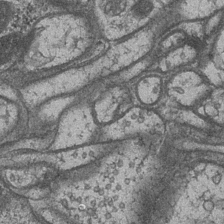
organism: Drosophila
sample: Optic medulla